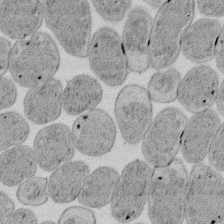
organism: E. coli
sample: Bacterial nucleoid